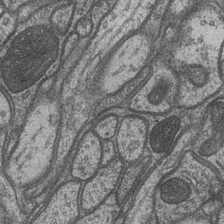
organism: Drosophila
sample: Optic medulla